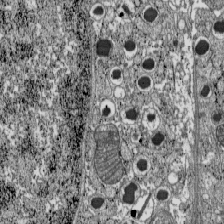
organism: C57BL Mouse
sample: Pancreatic islet